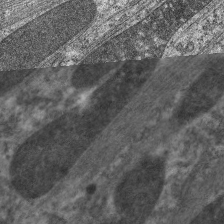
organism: C. elegans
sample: Pharynx